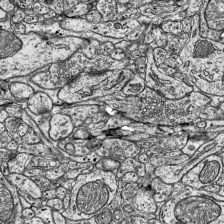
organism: Mouse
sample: Visual Cortex